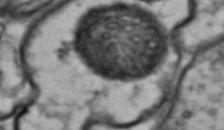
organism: Drosophila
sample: Brain